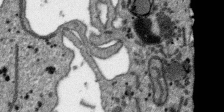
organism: Human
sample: Lung epithelial cells, uninfected (mock) control